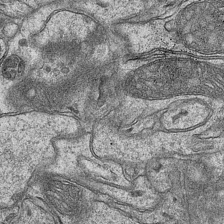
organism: Mouse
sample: CA1 Hippocampus